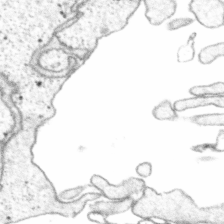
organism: Human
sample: HeLa cells